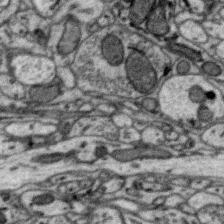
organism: Zebra finch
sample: Brain